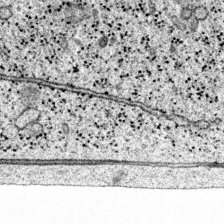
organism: Human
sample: HeLa cells